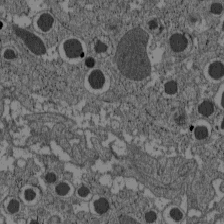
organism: C57BL Mouse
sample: Pancreatic islet